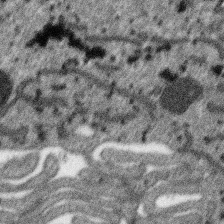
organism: Human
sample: Lung epithelial cells infected with SARS-CoV-2